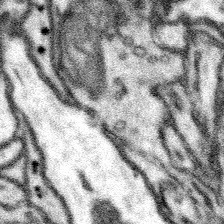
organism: Mouse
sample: Somatosensory cortex neuropil